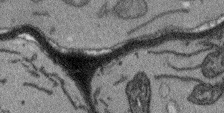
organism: Arabidopsis thaliana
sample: Root tip